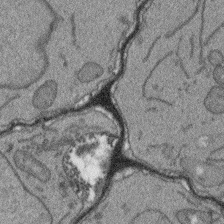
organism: Arabidopsis thaliana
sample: Root tip